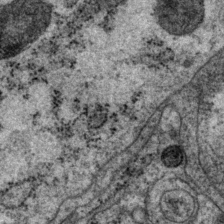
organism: P. pacificus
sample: Pharynx